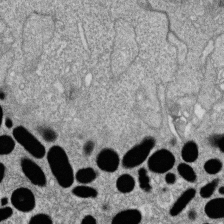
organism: Zebrafish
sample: Cilia; retinal pigment epithelium